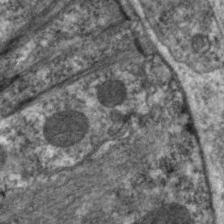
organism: C. elegans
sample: Pharynx